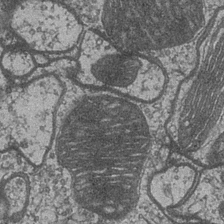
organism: Drosophila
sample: Optic medulla